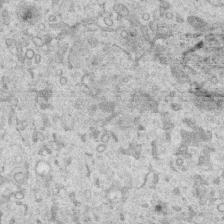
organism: Human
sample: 1205lu cells